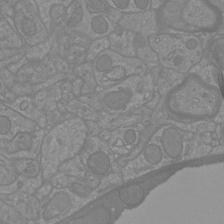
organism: Mouse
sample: Cortical neurons